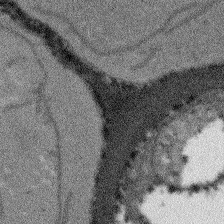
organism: Arabidopsis thaliana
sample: Root tip